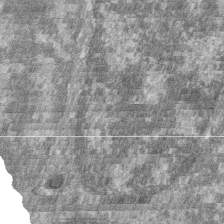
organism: Zebrafish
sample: Cilia; retinal pigment epithelium